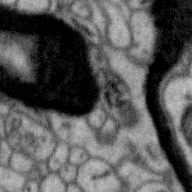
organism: Zebra finch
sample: Brain